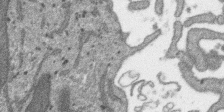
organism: Human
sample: Lung epithelial cells infected with SARS-CoV-2